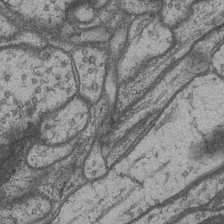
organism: Drosophila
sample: Optic medulla